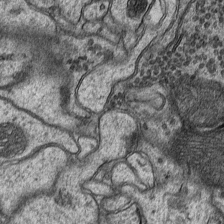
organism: Mouse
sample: CA1 Hippocampus